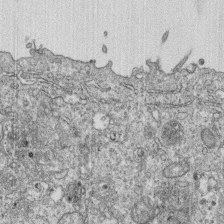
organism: Human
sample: HeLa cell HIV synapse